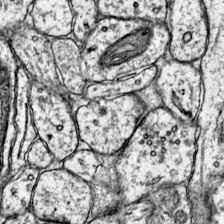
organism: Mouse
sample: Primary visual cortex